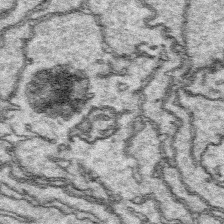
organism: Platynereis dumerilii